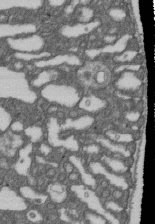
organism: Drosophila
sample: Nephrocyte